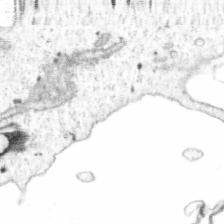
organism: Human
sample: HeLa cells